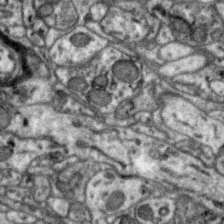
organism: Zebra finch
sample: Brain